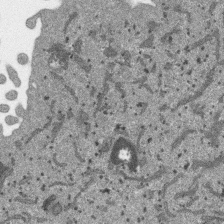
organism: Human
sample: Lung epithelial cells infected with SARS-CoV-2